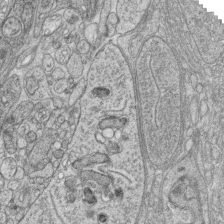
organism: Zebrafish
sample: synaptic ribbons in rod cells and cone cells